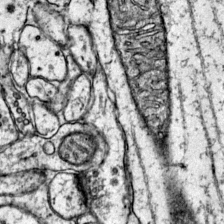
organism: Mouse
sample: Primary visual cortex